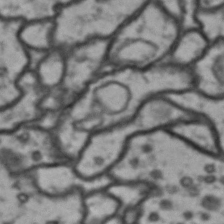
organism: Drosophila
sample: Brain